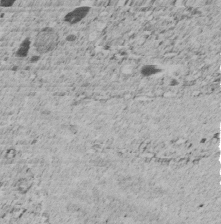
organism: C. elegans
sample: C. elegans embryo early stage